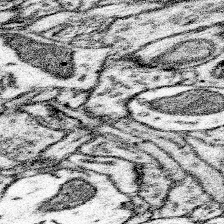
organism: Mouse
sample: Somatosensory cortex neuropil